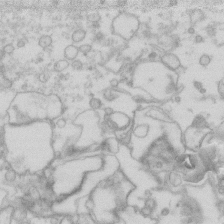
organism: Human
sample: Fibroblast cells